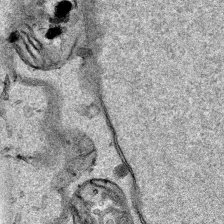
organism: Human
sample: Mitochondria in HCT116 cells